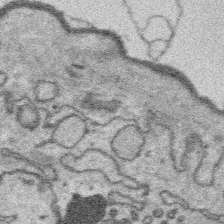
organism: Platynereis dumerilii